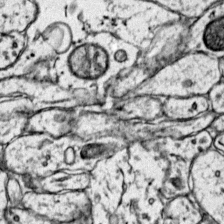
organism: Mouse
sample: Primary visual cortex